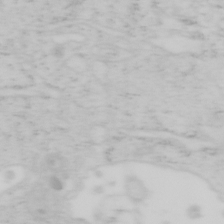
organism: Mouse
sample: OT-I killer T cells with ID8 ovarian cancer cells